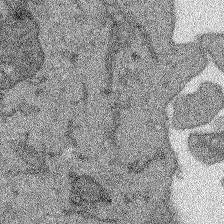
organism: Human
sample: HeLa cells